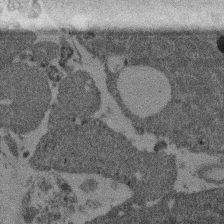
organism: Mouse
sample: Dividing mouse embryo 1 cell stage